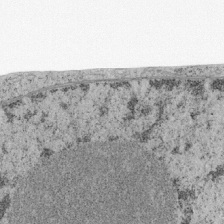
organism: Human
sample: HeLa cells